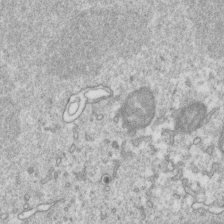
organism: Mouse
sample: Activated OT-1 CD8+ T cells